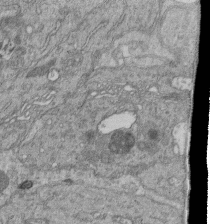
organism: Human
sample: Retinal organoid Rod and Cone cells